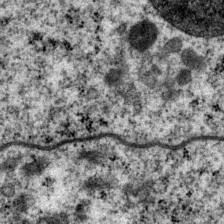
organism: P. pacificus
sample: Pharynx